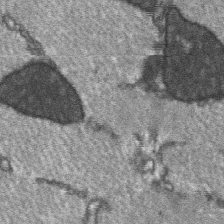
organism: C57BL Mouse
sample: Soleus